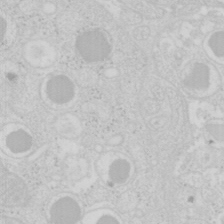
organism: Mouse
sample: Pancreas